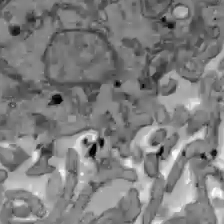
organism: C57BL Mouse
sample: Liver